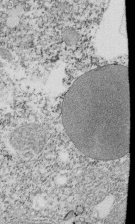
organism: Tetrahymena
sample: Cilia in tetrahymena